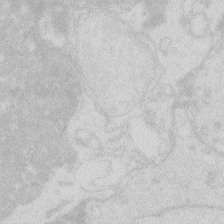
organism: Zebrafish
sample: Macrophage